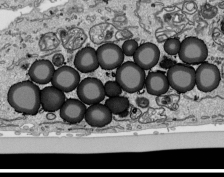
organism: Human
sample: Mitochondria in HCT116 cells